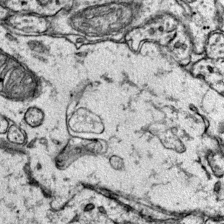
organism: Mouse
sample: Primary visual cortex